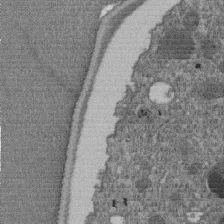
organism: C. elegans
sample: C. elegans embryo early stage